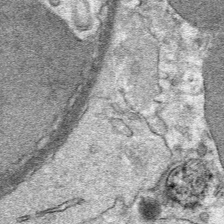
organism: Mouse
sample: Mouse Salivary gland